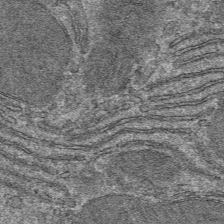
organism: Mouse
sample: Mouse hepatocytes